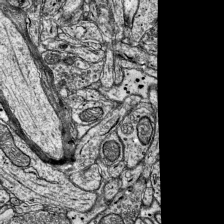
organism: Mouse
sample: Visual Cortex